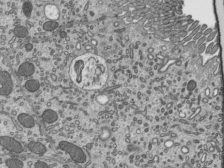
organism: Mouse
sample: Mouse epididymis efferent ductule cilia